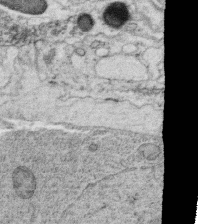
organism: C. elegans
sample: C. elegans oocyte; sperm cells